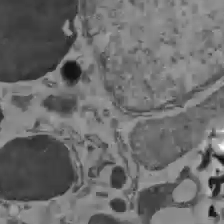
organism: C57BL Mouse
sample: Liver